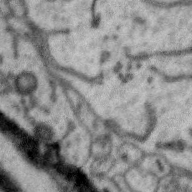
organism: Zebra finch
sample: Brain